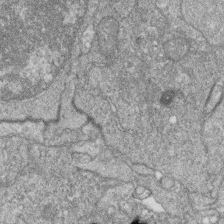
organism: Zebrafish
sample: Cilia; retinal pigment epithelium